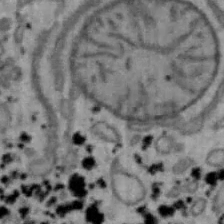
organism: Mouse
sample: Liver